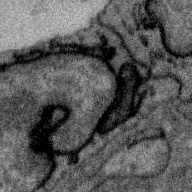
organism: Zebra finch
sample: Brain